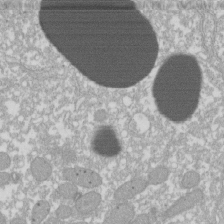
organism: Xenopus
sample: Cilia; centrioles in frog embryo cells